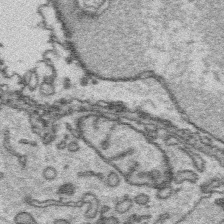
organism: Platynereis dumerilii